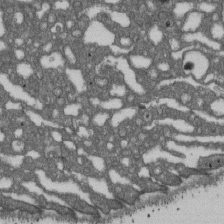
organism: Drosophila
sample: Nephrocyte